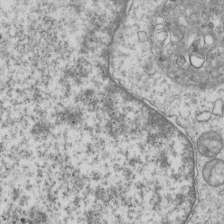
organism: Human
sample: MDA-MB-231 cells